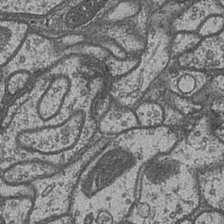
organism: Drosophila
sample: Optic medulla